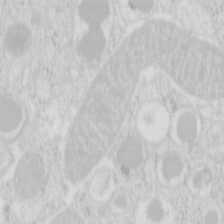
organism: Mouse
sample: Pancreas